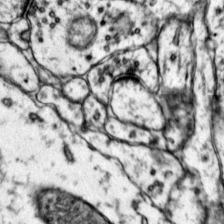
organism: Mouse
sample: Primary visual cortex